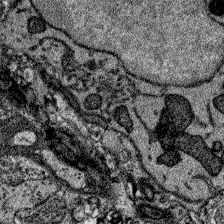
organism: Zebrafish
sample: Larval olfactory bulb